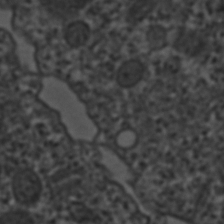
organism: C. elegans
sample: C. elegans embryo